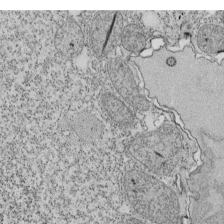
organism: Tetrahymena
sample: Cilia in tetrahymena